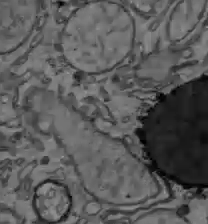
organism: C57BL Mouse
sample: Liver